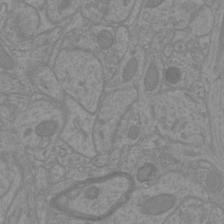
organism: Mouse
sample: Cortical neurons